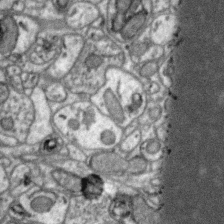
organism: Zebra finch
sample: Brain